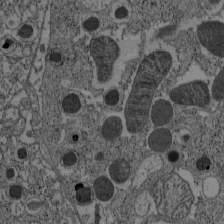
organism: C57BL Mouse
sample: Pancreatic islet